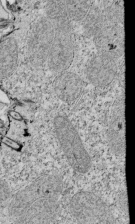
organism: Tetrahymena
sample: Cilia in tetrahymena